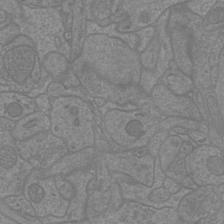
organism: Mouse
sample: Cortical neurons